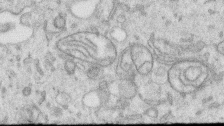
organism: Human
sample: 1205lu cells